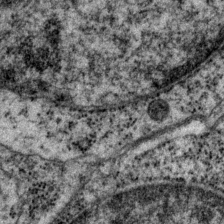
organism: P. pacificus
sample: Pharynx